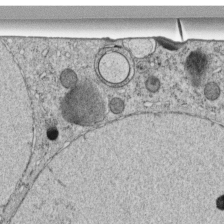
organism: C. elegans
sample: C. elegans embryo early stage